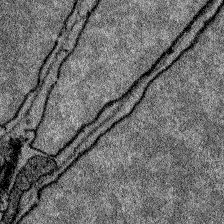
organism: Zebrafish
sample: Larval olfactory bulb